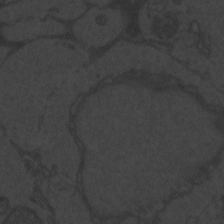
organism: Zebrafish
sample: Macrophage infected with Toxoplasma gondii